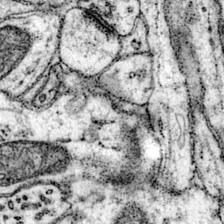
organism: Mouse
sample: Primary visual cortex